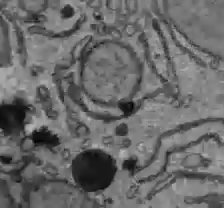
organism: C57BL Mouse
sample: Liver